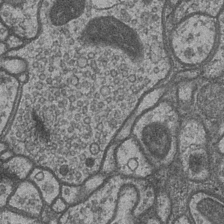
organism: Drosophila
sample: Optic medulla